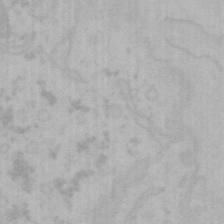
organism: Mouse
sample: Choroid plexus